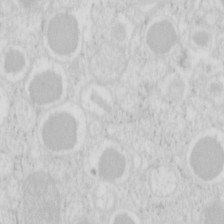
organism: Mouse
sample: Pancreas